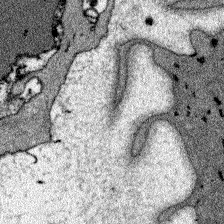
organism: Zebrafish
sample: Larval olfactory bulb